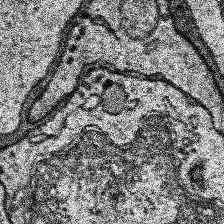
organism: Human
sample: Temporal Lobe